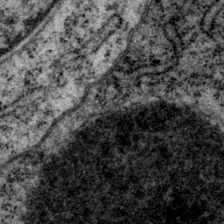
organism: P. pacificus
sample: Pharynx